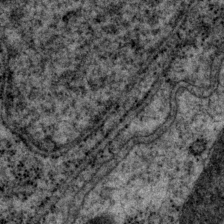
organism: P. pacificus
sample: Pharynx